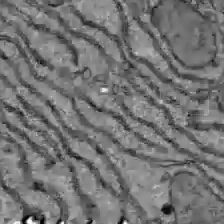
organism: C57BL Mouse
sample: Liver